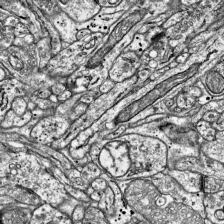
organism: Mouse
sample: Visual Cortex